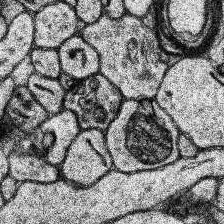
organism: Human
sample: Temporal Lobe